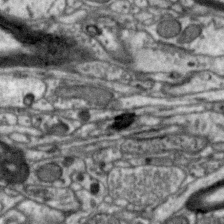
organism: Zebra finch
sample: Brain